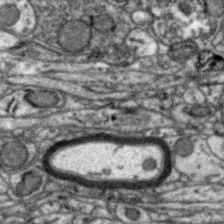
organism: Zebra finch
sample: Brain